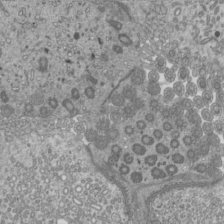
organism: Mouse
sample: Cilia; mouse epididymis